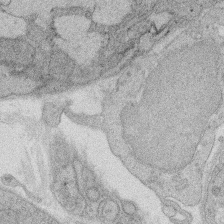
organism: Rat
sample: Salivary granule